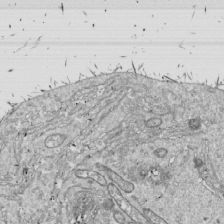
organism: Drosophila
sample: Cell division; meiosis; drosophila spermatocytes